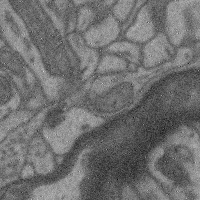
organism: Mouse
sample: Cerebral cortex